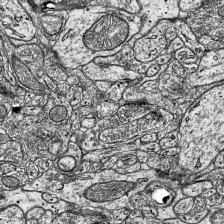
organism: Mouse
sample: Visual Cortex